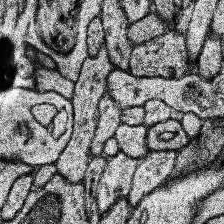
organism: Human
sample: Temporal Lobe